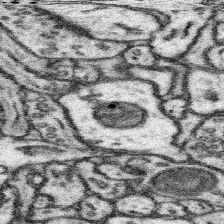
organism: Mouse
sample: Somatosensory cortex neuropil